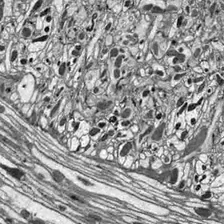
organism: Drosophila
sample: Optic lobe